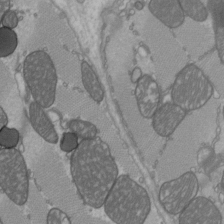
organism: C57BL Mouse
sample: Heart